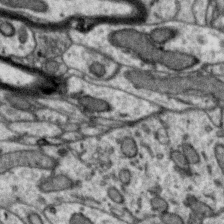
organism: Zebra finch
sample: Brain